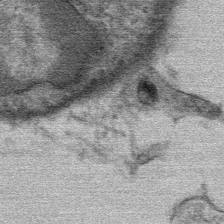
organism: Mouse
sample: Mouse Salivary gland